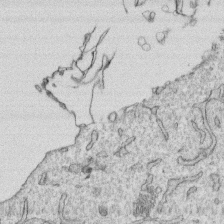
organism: Human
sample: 1205lu cells